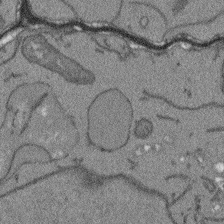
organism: Arabidopsis thaliana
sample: Root tip